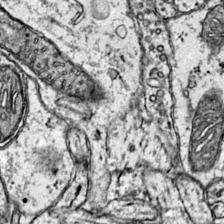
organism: Mouse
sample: Primary visual cortex